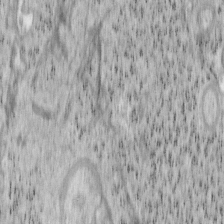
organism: Human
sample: HeLa cells